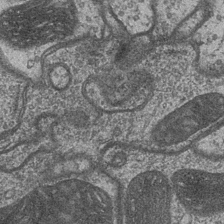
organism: Drosophila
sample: Optic medulla